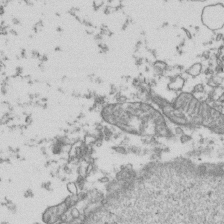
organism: Human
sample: Activated Jurkat CD4+ T cells